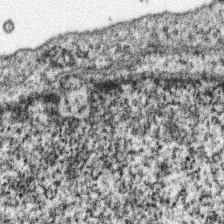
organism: Human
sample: HeLa cells